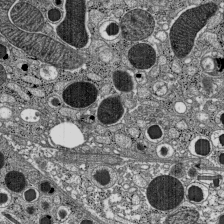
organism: C57BL Mouse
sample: Pancreatic islet